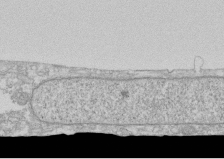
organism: Human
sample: CRL-1474